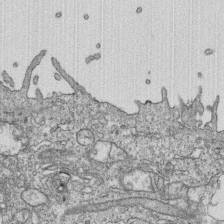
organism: Human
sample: HeLa cell HIV synapse